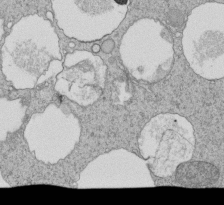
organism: Tetrahymena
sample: Cilia in tetrahymena